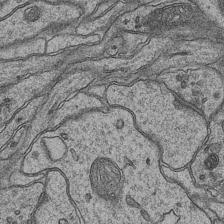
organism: Mouse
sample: CA1 Hippocampus